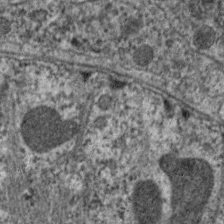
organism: C. elegans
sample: Pharynx